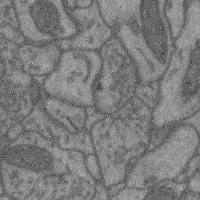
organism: Mouse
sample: Cerebral cortex